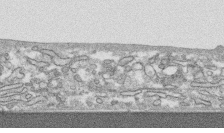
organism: Human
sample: CRL-1474